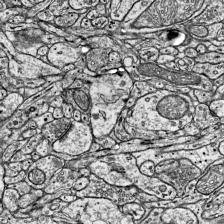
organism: Mouse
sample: Visual Cortex